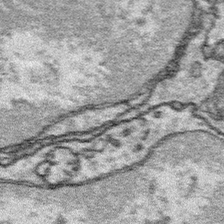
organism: Platynereis dumerilii